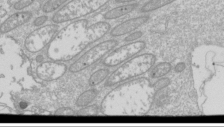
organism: Drosophila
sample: Cell division; meiosis; drosophila spermatocytes